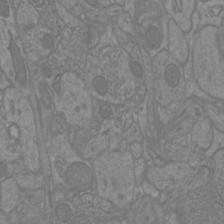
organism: Mouse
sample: Cortical neurons